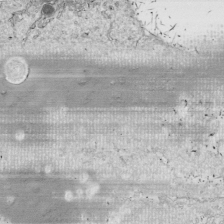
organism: Drosophila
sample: Cell division; meiosis; drosophila spermatocytes